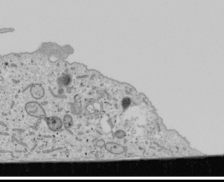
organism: Human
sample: Mitochondria in U2OS cells